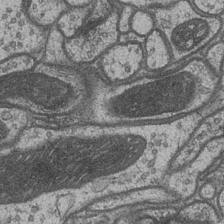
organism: Drosophila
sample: Optic medulla